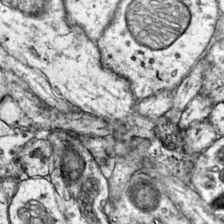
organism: Mouse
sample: Primary visual cortex